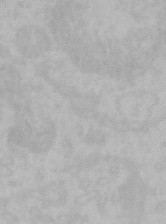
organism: Mouse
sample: Choroid plexus